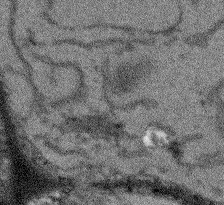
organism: Arabidopsis thaliana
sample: Root tip